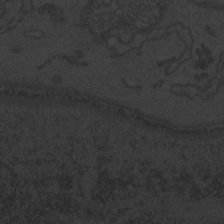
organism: Zebrafish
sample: Macrophage infected with Toxoplasma gondii